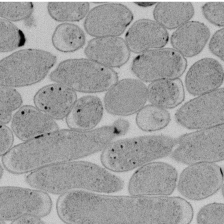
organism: E. coli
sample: Bacterial nucleoid